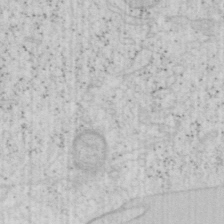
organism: Human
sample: HeLa cells